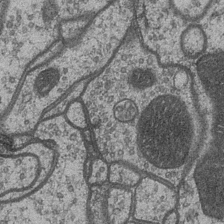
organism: Drosophila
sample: Optic medulla